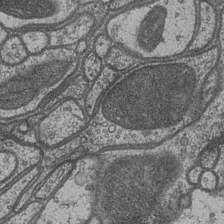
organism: Drosophila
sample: Optic medulla